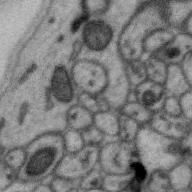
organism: Zebra finch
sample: Brain